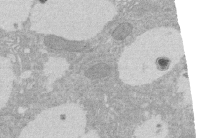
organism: Rat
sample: Salivary granule